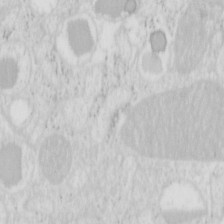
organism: Mouse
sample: Pancreas